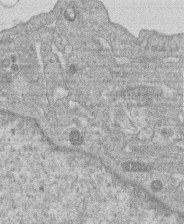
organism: Human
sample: Macrophage cells